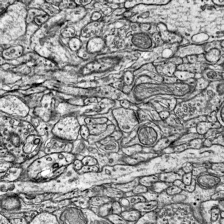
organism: Mouse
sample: Visual Cortex